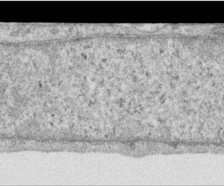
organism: Human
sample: Centriole in RPE cells